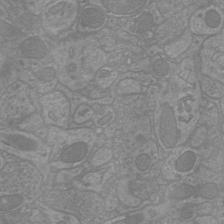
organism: Mouse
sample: Cortical neurons